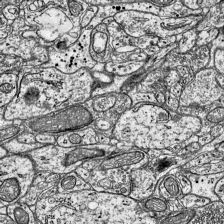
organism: Mouse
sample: Visual Cortex